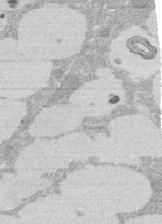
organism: Rat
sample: Salivary granule